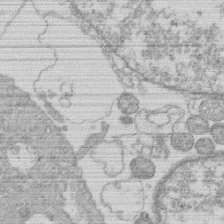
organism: Human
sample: Macrophage cells